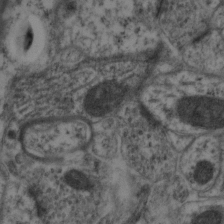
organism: Mouse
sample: Neocortex